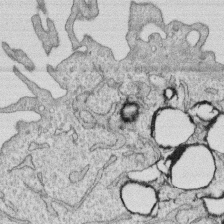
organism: Human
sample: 1205lu cells